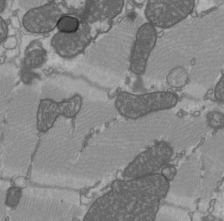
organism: C57BL Mouse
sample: Heart